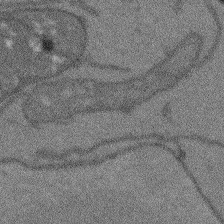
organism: Arabidopsis thaliana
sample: Root tip